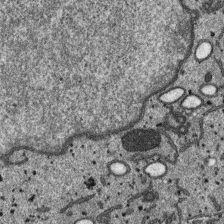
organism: Human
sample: Lung epithelial cells infected with SARS-CoV-2